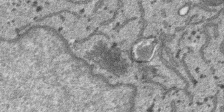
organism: Human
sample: Lung epithelial cells infected with SARS-CoV-2